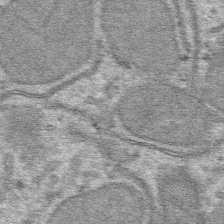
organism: Mouse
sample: Mouse hepatocytes